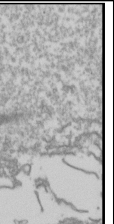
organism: Drosophila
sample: Cell division; meiosis; drosophila spermatocytes